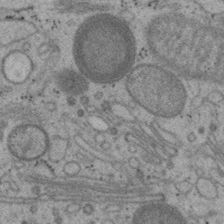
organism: Human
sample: HeLa cells